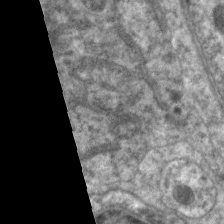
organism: C. elegans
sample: Pharynx